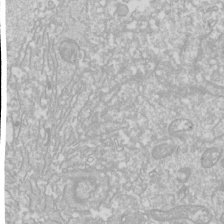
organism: Drosophila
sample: Cell division; meiosis; drosophila spermatocytes